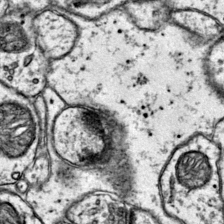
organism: Mouse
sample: Primary visual cortex